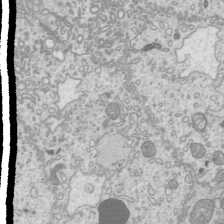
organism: Mouse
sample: Cilia; mouse epididymis